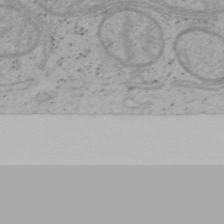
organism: Human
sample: HeLa cells